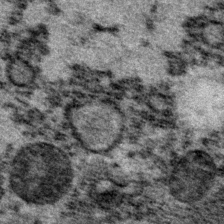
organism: P. pacificus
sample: Pharynx